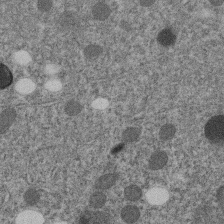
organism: C. elegans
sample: C. elegans embryo early stage